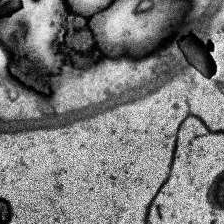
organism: Human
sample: Temporal Lobe